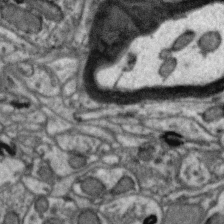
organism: Zebra finch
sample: Brain